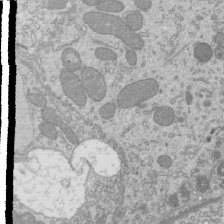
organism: Mouse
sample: Cilia; mouse epididymis